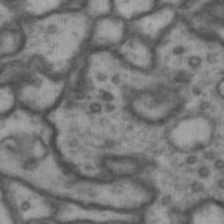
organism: Drosophila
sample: Brain